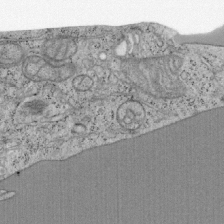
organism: Human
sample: HeLa cells